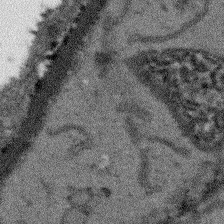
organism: Arabidopsis thaliana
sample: Root tip